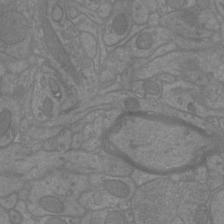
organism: Mouse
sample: Cortical neurons